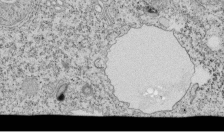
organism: Tetrahymena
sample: Cilia in tetrahymena